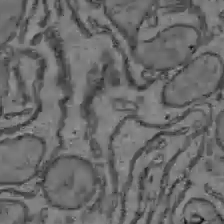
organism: C57BL Mouse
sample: Liver